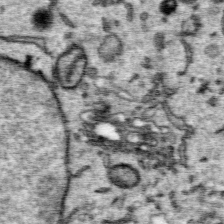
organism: Human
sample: HeLa cells